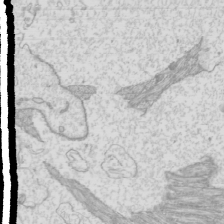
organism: Mouse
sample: Cilia; mouse epididymis